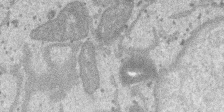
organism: Human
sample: Lung epithelial cells infected with SARS-CoV-2